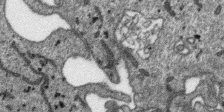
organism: Human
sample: Lung epithelial cells infected with SARS-CoV-2